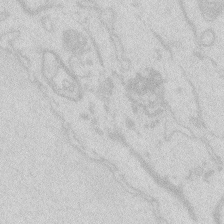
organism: Zebrafish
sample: Macrophage